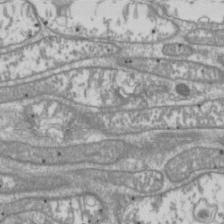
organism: Drosophila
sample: Cell division; meiosis; drosophila spermatocytes